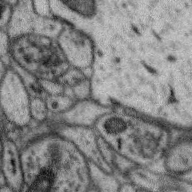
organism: Zebra finch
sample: Brain